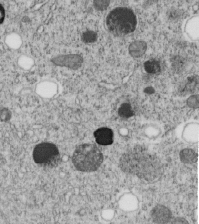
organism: C. elegans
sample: C. elegans embryo early stage